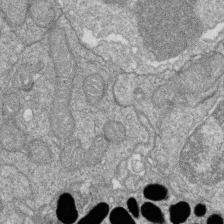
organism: Zebrafish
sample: Cilia; retinal pigment epithelium